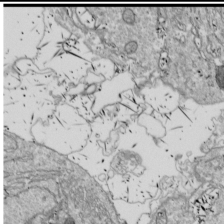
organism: Drosophila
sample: Cell division; meiosis; drosophila spermatocytes